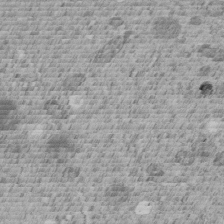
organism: C. elegans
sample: C. elegans embryo early stage